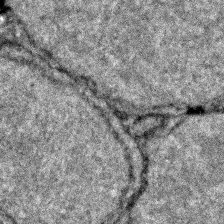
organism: Zebrafish